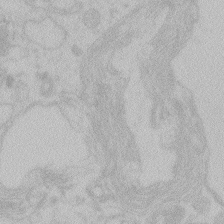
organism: Zebrafish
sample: Macrophage infected with Toxoplasma gondii